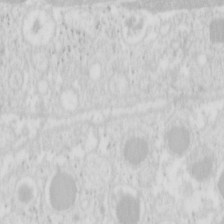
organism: Mouse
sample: Pancreas